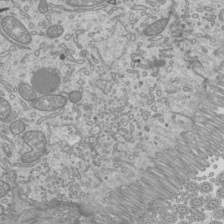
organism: Mouse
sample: Cilia; mouse epididymis